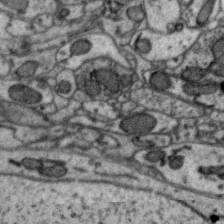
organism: Zebra finch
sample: Brain